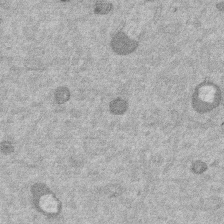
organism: Mouse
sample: Dividing mouse embryo 1 cell stage